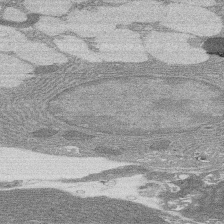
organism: Rat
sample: Salivary granule